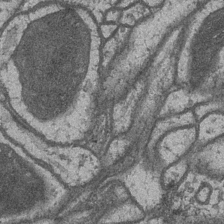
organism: Drosophila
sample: Optic medulla